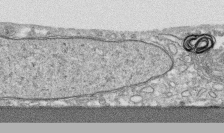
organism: Human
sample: CRL-1474